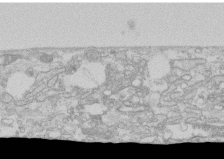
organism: Human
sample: CRL-1474